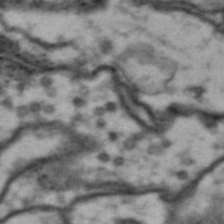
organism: Drosophila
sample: Brain